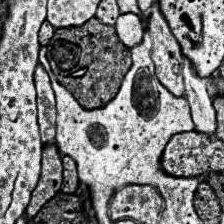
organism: Human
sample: Temporal Lobe